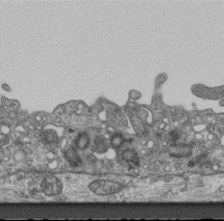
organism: Mouse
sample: Centriole in ependymal cells